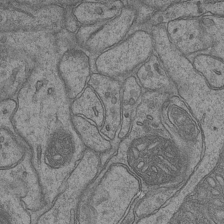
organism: Mouse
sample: CA1 Hippocampus